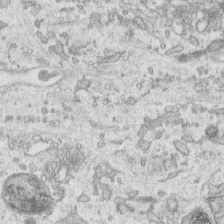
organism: Human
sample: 1205lu cells